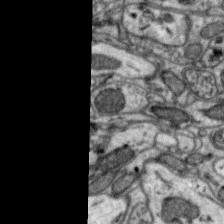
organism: Zebra finch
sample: Brain